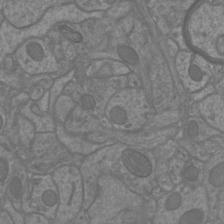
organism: Mouse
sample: Cortical neurons